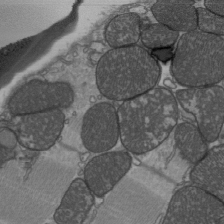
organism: C57BL Mouse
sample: Heart